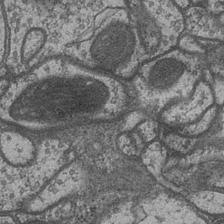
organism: Drosophila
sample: Optic medulla